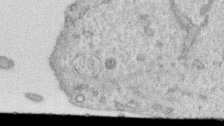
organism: Human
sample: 1205lu cells